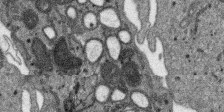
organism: Human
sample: Lung epithelial cells infected with SARS-CoV-2